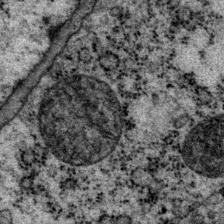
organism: P. pacificus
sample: Pharynx